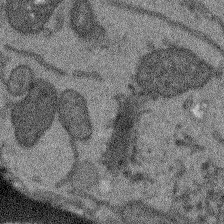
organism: Arabidopsis thaliana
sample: Root tip